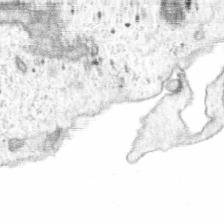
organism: Human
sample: HeLa cells